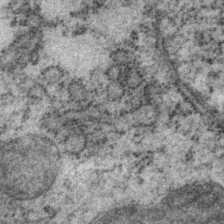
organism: P. pacificus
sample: Pharynx